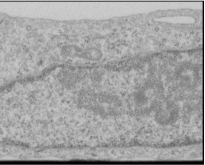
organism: Human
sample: Cilia; basal body in RPE cells